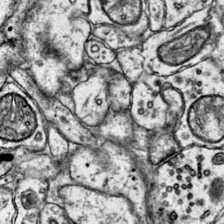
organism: Mouse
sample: Primary visual cortex